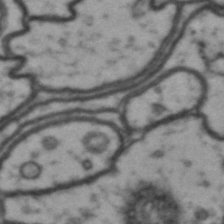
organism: Drosophila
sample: Brain